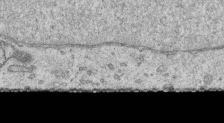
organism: Human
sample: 1205lu cells